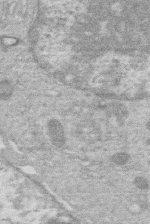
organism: Human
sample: Macrophage cells